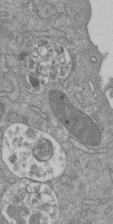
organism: Mouse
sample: ED-1 cell nuclei; centrioles